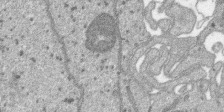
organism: Human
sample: Lung epithelial cells infected with SARS-CoV-2